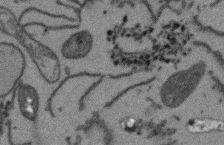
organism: Arabidopsis thaliana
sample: Root tip